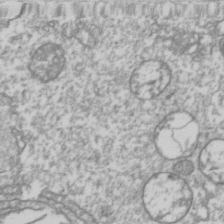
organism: Drosophila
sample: Cell division; meiosis; drosophila spermatocytes